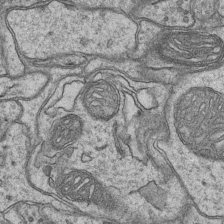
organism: Mouse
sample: CA1 Hippocampus